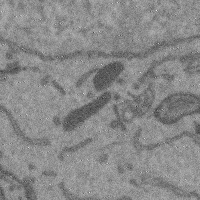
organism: Mouse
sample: Cerebral cortex